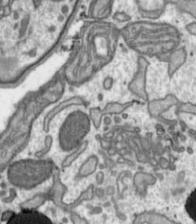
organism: Toxoplasma gondii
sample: Parasites in a vacuole inside a host cell